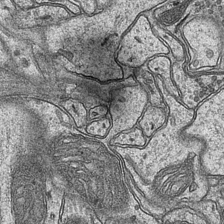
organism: Mouse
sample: CA1 Hippocampus